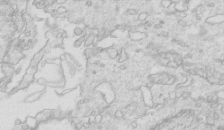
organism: Mouse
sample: Multiciliated cells